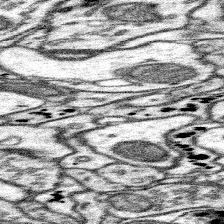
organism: Mouse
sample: Somatosensory cortex neuropil